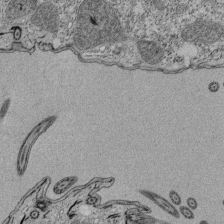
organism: Tetrahymena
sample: Cilia in tetrahymena